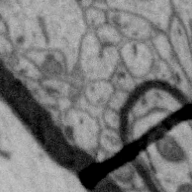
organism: Zebra finch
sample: Brain